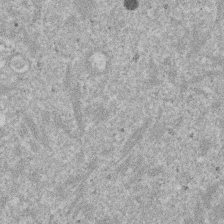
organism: Mouse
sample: Dividing mouse embryo 1 cell stage